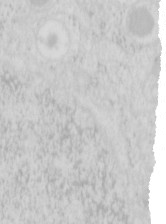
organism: Mouse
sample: Pancreas